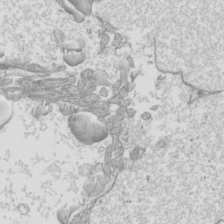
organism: Mouse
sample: Cilia; mouse epididymis